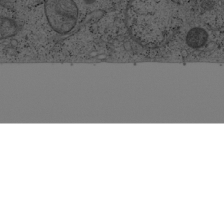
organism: African green monkey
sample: COS-7 cells